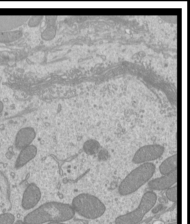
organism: Mouse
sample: Cilia; mouse epididymis